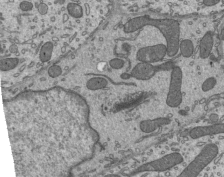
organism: Mouse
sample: Mouse epididymis efferent ductule cilia